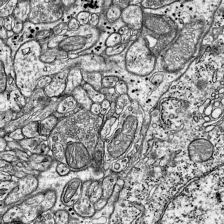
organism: Mouse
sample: Visual Cortex